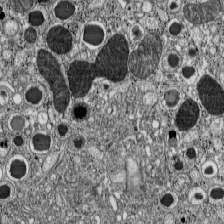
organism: C57BL Mouse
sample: Pancreatic islet